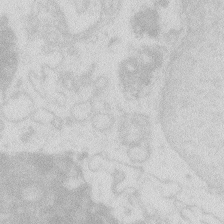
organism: Zebrafish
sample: Macrophage